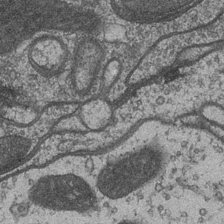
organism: Drosophila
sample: Optic medulla